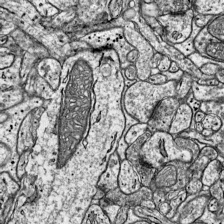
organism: Mouse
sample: Visual Cortex